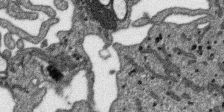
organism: Human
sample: Lung epithelial cells infected with SARS-CoV-2